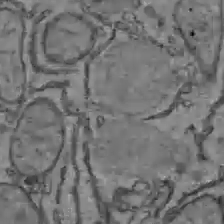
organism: C57BL Mouse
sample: Liver